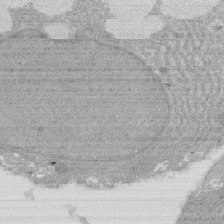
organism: Rat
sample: Salivary granule